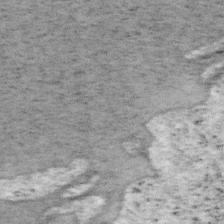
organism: Mouse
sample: OT-I killer T cells with ID8 ovarian cancer cells